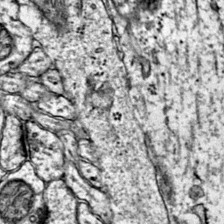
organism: Mouse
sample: Primary visual cortex